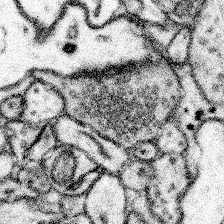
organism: Mouse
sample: Somatosensory cortex neuropil